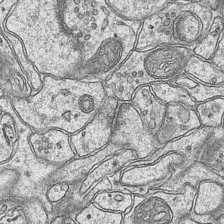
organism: Mouse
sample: CA1 Hippocampus